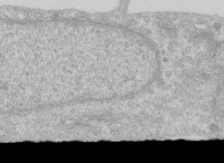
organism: Human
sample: Centriole in RPE cells